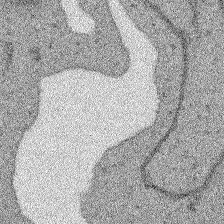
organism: Human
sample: HeLa cells